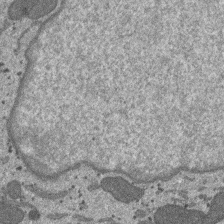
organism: Human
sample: Lung epithelial cells infected with SARS-CoV-2